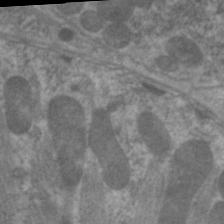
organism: C. elegans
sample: Pharynx